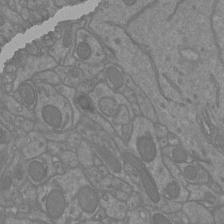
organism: Mouse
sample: Cortical neurons